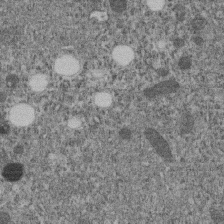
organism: C. elegans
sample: C. elegans embryo early stage